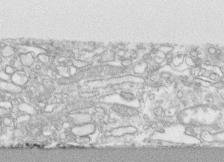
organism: Human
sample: CRL-1474